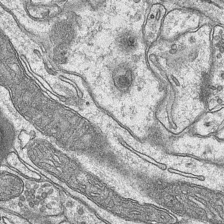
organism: Mouse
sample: CA1 Hippocampus